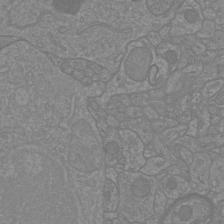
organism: Mouse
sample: Cortical neurons